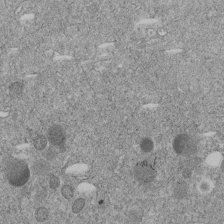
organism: C. elegans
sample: C. elegans embryo early stage